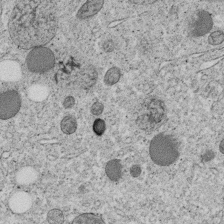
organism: C. elegans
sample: C. elegans embryo early stage